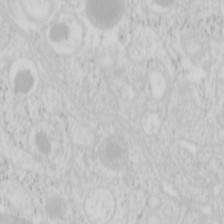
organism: Mouse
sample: Pancreas